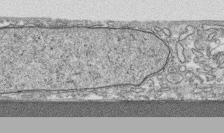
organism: Human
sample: CRL-1474